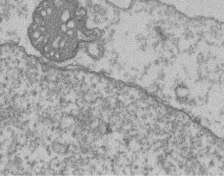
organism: Mouse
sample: T cell stromal cell synapse